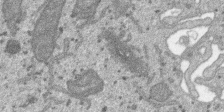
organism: Human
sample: Lung epithelial cells infected with SARS-CoV-2